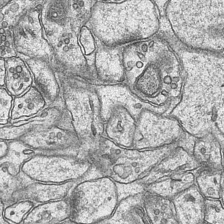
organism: Mouse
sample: CA1 Hippocampus